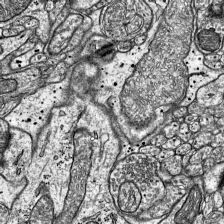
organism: Mouse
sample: Visual Cortex